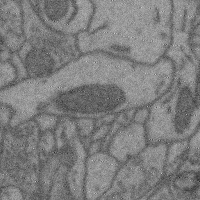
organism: Mouse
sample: Cerebral cortex